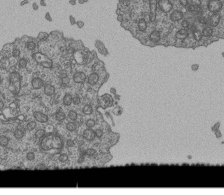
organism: Human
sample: Retinal organoid Rod and Cone cells